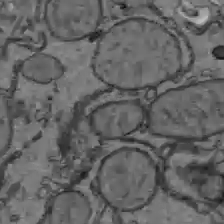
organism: C57BL Mouse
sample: Liver